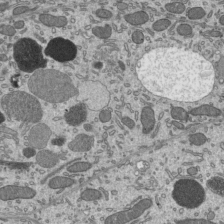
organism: Mouse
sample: Mouse epididymis efferent ductule cilia